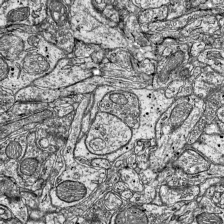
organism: Mouse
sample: Visual Cortex